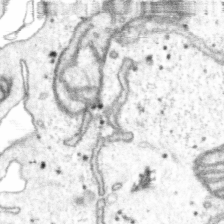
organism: Human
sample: HeLa cells